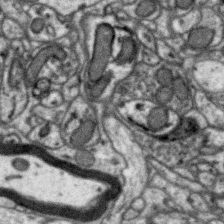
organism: Zebra finch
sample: Brain